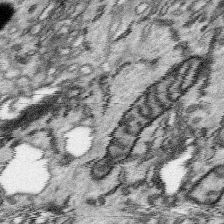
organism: Human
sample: HeLa cells